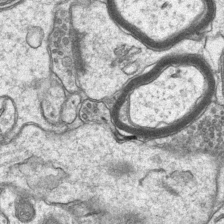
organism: Mouse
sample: CA1 Hippocampus